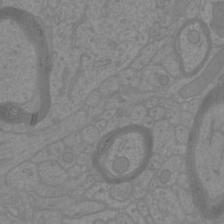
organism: Mouse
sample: Cortical neurons